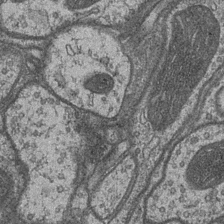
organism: Drosophila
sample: Optic medulla